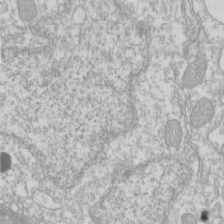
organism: Xenopus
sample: Cilia; centrioles in frog embryo cells